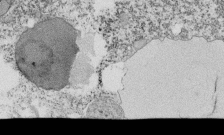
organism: Tetrahymena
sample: Cilia in tetrahymena